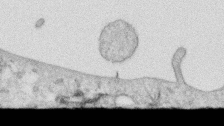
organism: Human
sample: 1205lu cells